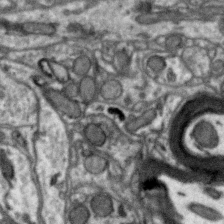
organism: Zebra finch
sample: Brain